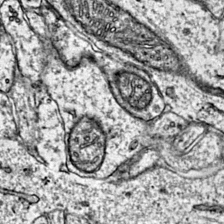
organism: Mouse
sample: Primary visual cortex